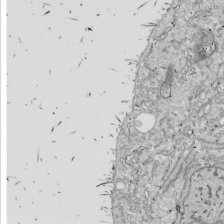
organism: Drosophila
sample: Cell division; meiosis; drosophila spermatocytes